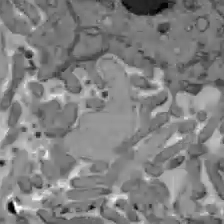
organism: C57BL Mouse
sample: Liver